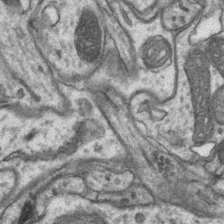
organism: Mouse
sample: CA1 Hippocampus